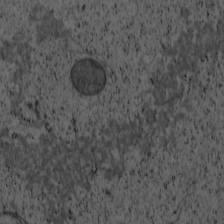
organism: African green monkey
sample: COS-7 cells